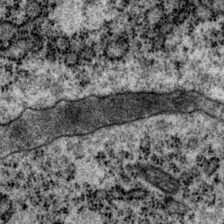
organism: P. pacificus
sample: Pharynx